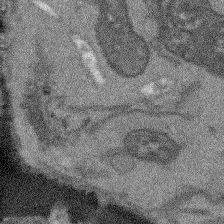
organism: Arabidopsis thaliana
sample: Root tip